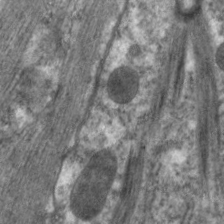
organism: C. elegans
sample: Pharynx